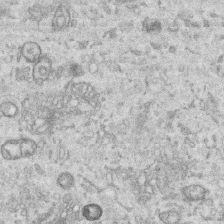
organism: Human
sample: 1205lu cells